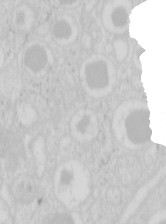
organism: Mouse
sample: Pancreas